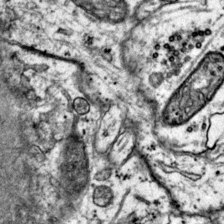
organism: Mouse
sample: Primary visual cortex